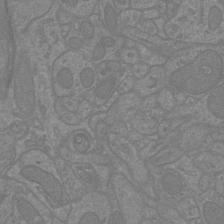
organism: Mouse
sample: Cortical neurons